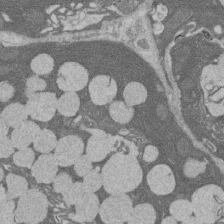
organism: Rat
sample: Salivary granule